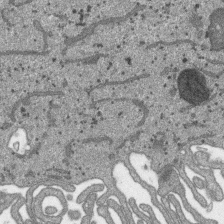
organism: Human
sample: Lung epithelial cells infected with SARS-CoV-2